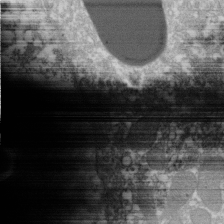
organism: Xenopus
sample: Cilia; centrioles in frog embryo cells